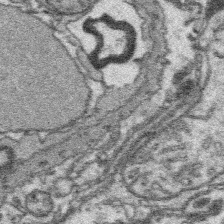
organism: Platynereis dumerilii